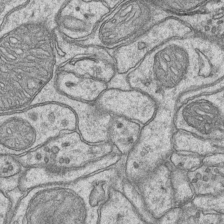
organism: Mouse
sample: CA1 Hippocampus